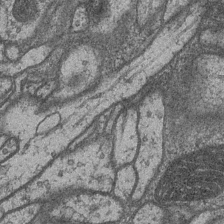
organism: Drosophila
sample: Optic medulla